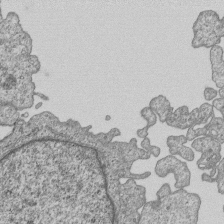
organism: Human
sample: MDA-MB-231 cells